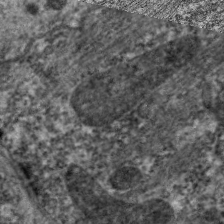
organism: C. elegans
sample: Pharynx